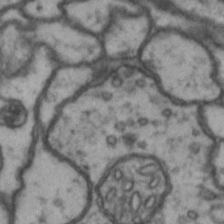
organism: Drosophila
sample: Brain